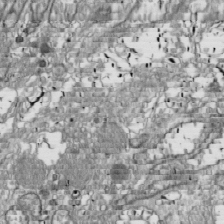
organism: Drosophila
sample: Cell division; meiosis; drosophila spermatocytes